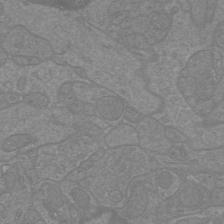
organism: Mouse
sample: Cortical neurons